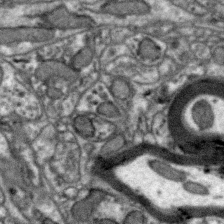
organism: Zebra finch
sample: Brain